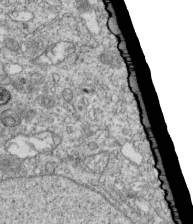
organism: Human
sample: HeLa cell HIV synapse